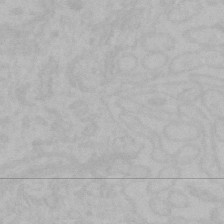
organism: Mouse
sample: Choroid plexus